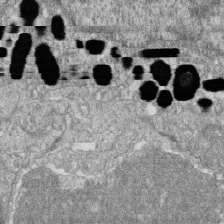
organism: Zebrafish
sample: Cilia; retinal pigment epithelium